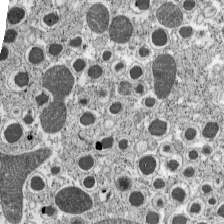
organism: C57BL Mouse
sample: Pancreatic islet